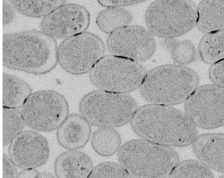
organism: E. coli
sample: Bacterial nucleoid